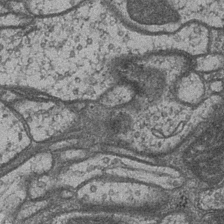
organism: Drosophila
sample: Optic medulla